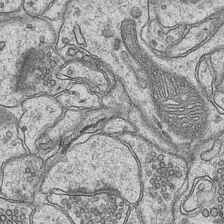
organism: Mouse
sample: CA1 Hippocampus